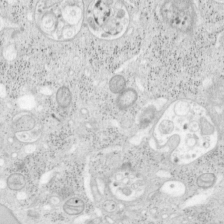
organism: Mouse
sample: OT-I killer T cells with ID8 ovarian cancer cells